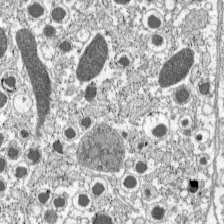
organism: C57BL Mouse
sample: Pancreatic islet